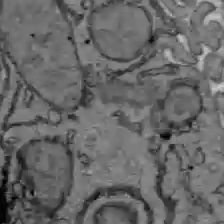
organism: C57BL Mouse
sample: Liver